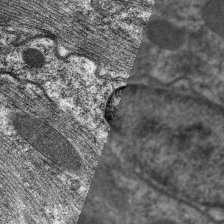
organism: C. elegans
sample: Pharynx